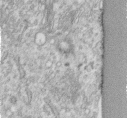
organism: Human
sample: Centriole in fibroblast cells